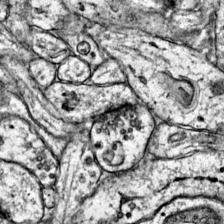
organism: Mouse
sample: Primary visual cortex